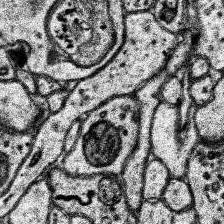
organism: Human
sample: Temporal Lobe